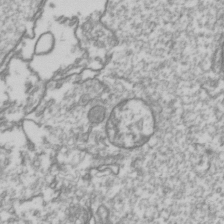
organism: Drosophila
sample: Cell division; meiosis; drosophila spermatocytes